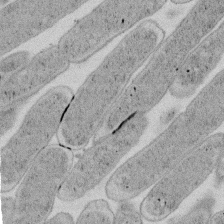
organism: E. coli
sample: Bacterial nucleoid